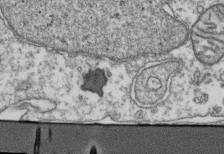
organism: Human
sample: Activated Jurkat CD4+ T cells